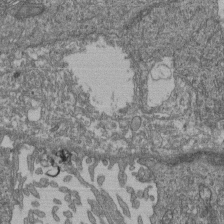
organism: Human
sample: Retinal organoid Rod and Cone cells